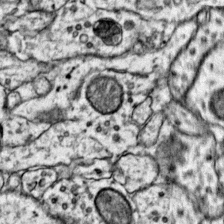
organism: Mouse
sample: Primary visual cortex